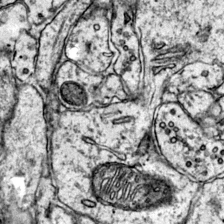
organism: Mouse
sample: Primary visual cortex